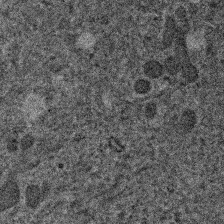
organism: Human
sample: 1205lu cells